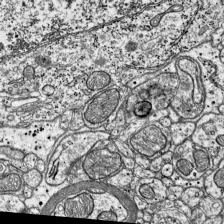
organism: Mouse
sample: Visual Cortex